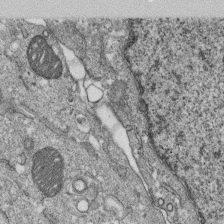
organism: African green monkey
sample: Vero E6 cells infected with SARS-CoV-2